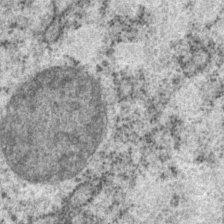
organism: P. pacificus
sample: Pharynx